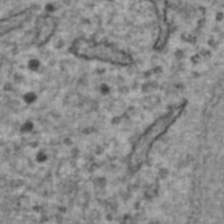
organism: Human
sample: Blood